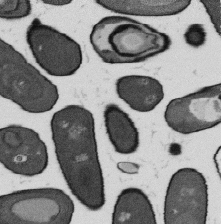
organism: B. subtilis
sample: Bacterial spore